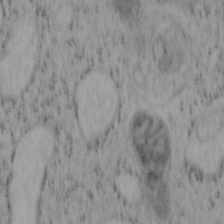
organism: Mouse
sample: OT-I killer T cells with ID8 ovarian cancer cells